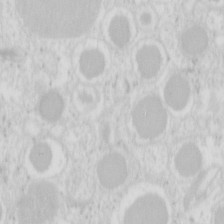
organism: Mouse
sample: Pancreas